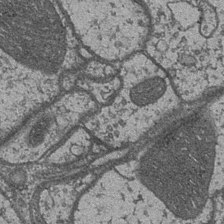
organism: Drosophila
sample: Optic medulla